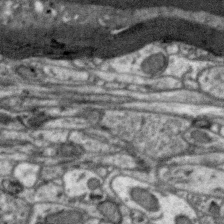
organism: Zebra finch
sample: Brain